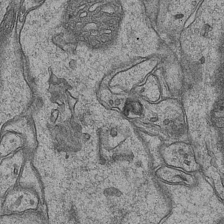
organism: Mouse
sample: CA1 Hippocampus